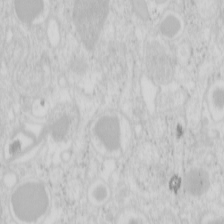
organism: Mouse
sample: Pancreas